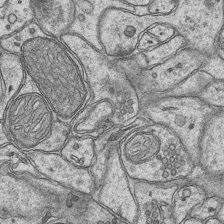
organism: Mouse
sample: CA1 Hippocampus